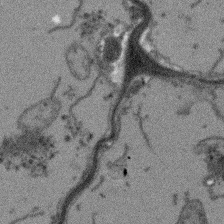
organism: Arabidopsis thaliana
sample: Root tip